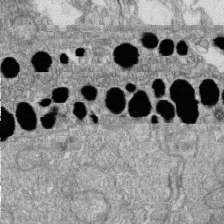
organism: Zebrafish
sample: Cilia; retinal pigment epithelium